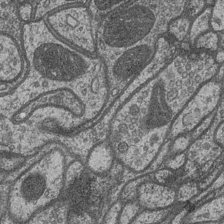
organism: Drosophila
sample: Optic medulla